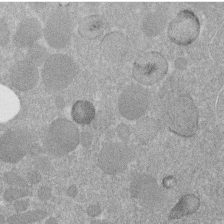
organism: C. elegans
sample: C. elegans embryo early stage